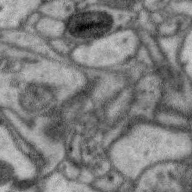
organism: Zebra finch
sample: Brain